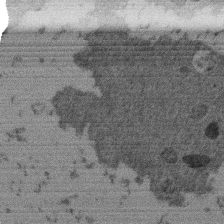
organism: Mouse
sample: Dividing mouse embryo 1 cell stage